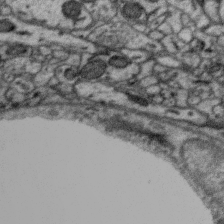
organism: Zebra finch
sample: Brain